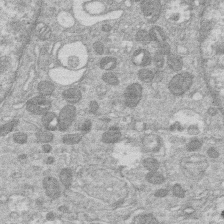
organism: Human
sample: Macrophage cells